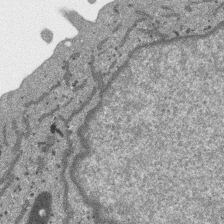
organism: Human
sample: Lung epithelial cells infected with SARS-CoV-2